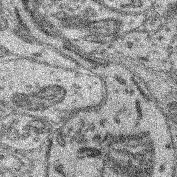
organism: Mouse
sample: Retina